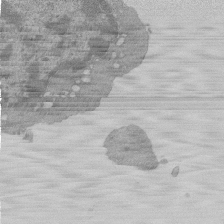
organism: Mouse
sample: Activated Pmel transgenic CD8+ T Cells